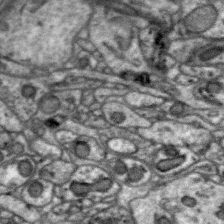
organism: Zebra finch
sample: Brain